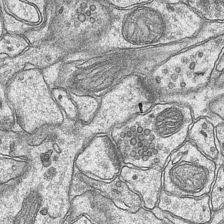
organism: Mouse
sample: CA1 Hippocampus